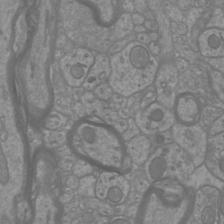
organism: Mouse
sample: Cortical neurons